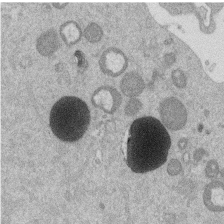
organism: Mouse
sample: Dividing mouse embryo 1 cell stage